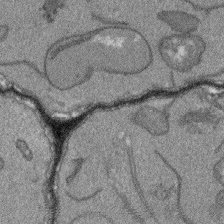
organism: Arabidopsis thaliana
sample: Root tip